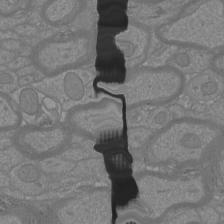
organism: Mouse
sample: Cortical neurons